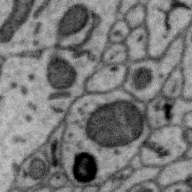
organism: Zebra finch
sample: Brain